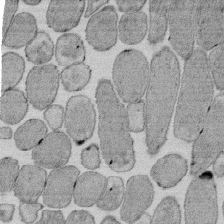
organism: E. coli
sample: Bacterial nucleoid